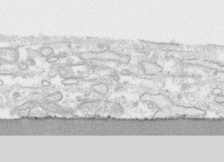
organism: Human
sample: CRL-1474